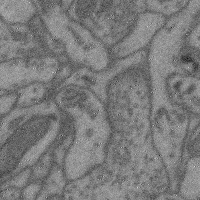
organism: Mouse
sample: Cerebral cortex